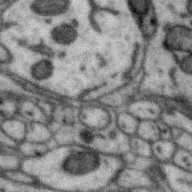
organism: Zebra finch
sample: Brain